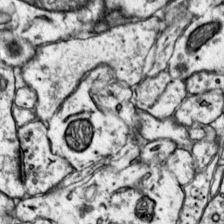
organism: Mouse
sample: Primary visual cortex